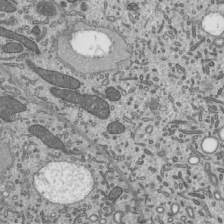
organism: Mouse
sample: Mouse epididymis efferent ductule cilia